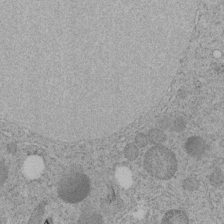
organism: C. elegans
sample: C. elegans embryo early stage